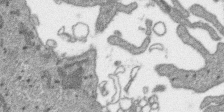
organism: Human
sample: Lung epithelial cells infected with SARS-CoV-2